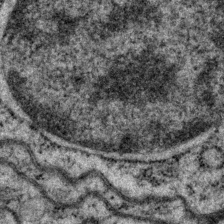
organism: P. pacificus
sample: Pharynx